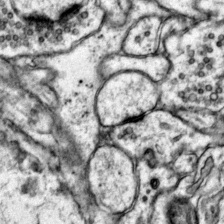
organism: Mouse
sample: Primary visual cortex